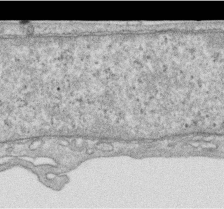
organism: Human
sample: Centriole in RPE cells